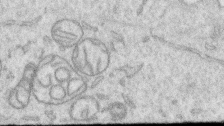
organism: Human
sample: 1205lu cells